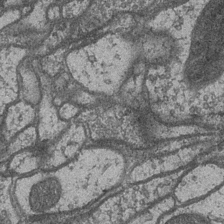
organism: Drosophila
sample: Optic medulla